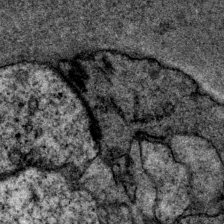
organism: P. pacificus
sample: Pharynx